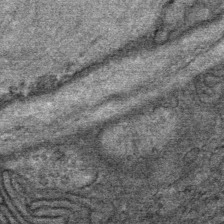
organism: Mouse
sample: Mouse Salivary gland